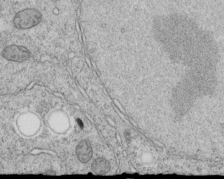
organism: C. elegans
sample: C. elegans embryo early stage